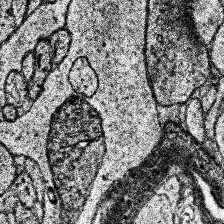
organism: Human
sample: Temporal Lobe